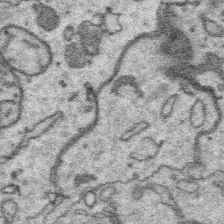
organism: Platynereis dumerilii